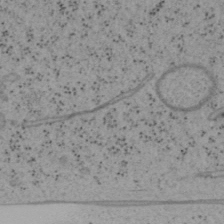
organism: Human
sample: HeLa cells